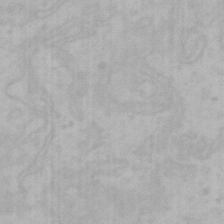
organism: Mouse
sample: Choroid plexus